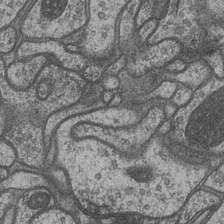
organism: Drosophila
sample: Optic medulla